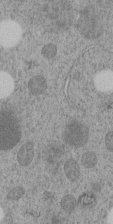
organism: C. elegans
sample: C. elegans embryo early stage